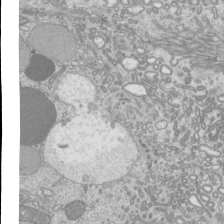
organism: Mouse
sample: Cilia; mouse epididymis